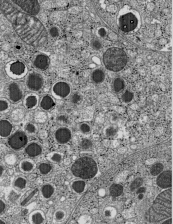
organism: C57BL Mouse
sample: Pancreatic islet